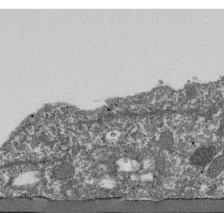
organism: Dictyostelium discoideum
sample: Dictyostelium multivesicular bodies